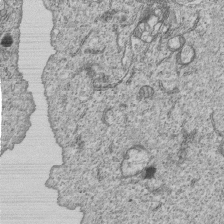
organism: Human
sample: MDA-MB-231 cells